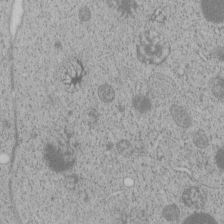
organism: C. elegans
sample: C. elegans embryo early stage